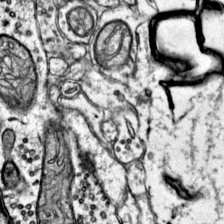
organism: Mouse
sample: Primary visual cortex